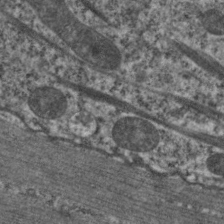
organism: C. elegans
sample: Pharynx